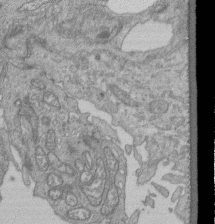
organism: Human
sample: Retinal organoid Rod and Cone cells